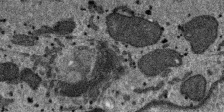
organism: Human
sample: Lung epithelial cells, uninfected (mock) control